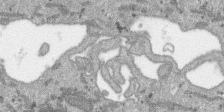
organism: Human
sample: Lung epithelial cells infected with SARS-CoV-2